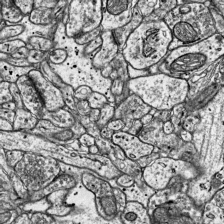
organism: Mouse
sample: Visual Cortex